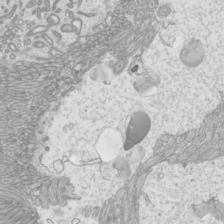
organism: Mouse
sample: Cilia; mouse epididymis